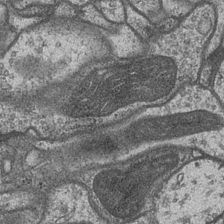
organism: Drosophila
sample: Optic medulla